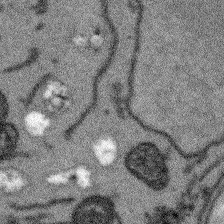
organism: Arabidopsis thaliana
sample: Root tip